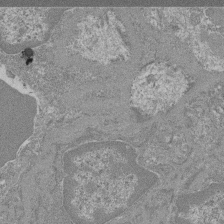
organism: Mouse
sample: Glomerulus